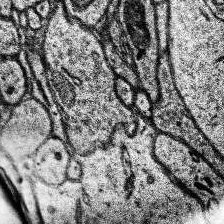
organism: Human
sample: Temporal Lobe